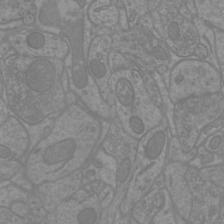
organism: Mouse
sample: Cortical neurons